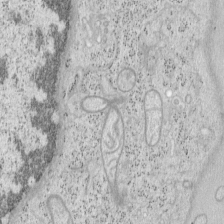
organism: Mouse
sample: OT-I killer T cells with ID8 ovarian cancer cells